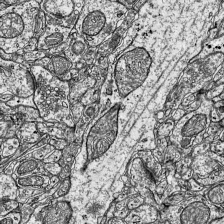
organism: Mouse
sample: Visual Cortex